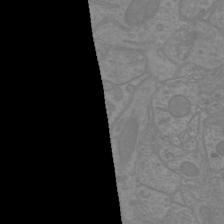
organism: Mouse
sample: Cortical neurons